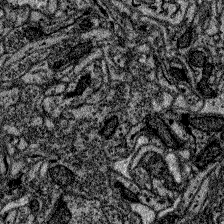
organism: Zebrafish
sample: Larval olfactory bulb